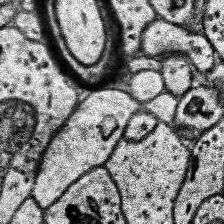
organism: Human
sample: Temporal Lobe